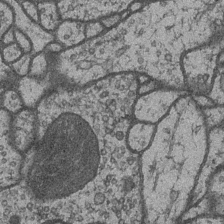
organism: Drosophila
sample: Optic medulla